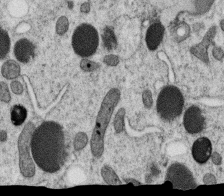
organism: C. elegans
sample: C. elegans oocyte; sperm cells